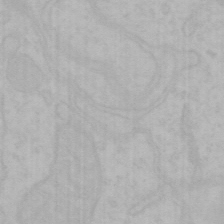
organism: Mouse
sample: Choroid plexus